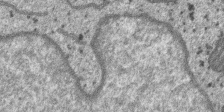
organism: Human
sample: Lung epithelial cells infected with SARS-CoV-2